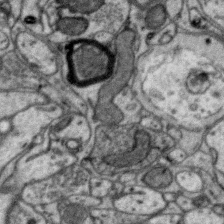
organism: Zebra finch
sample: Brain